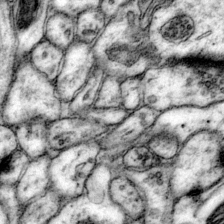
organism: Mouse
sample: Primary visual cortex